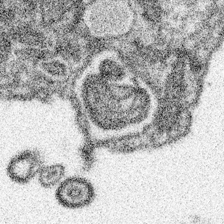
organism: Spongilla lacustris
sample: Neuroid cell